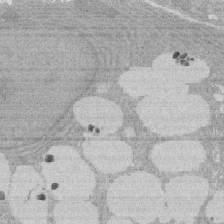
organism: Rat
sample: Salivary granule